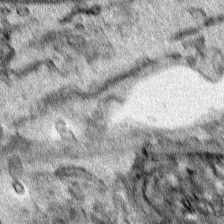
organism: Human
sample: Mitochondria in HCT116 cells